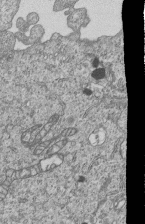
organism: Human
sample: MDA-MB-231 cells